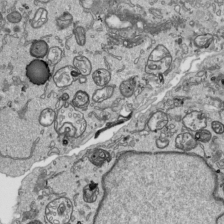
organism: Human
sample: Mitochondria in HCT116 cells